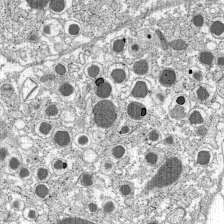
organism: C57BL Mouse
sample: Pancreatic islet